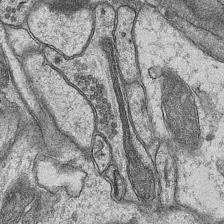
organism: Mouse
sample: CA1 Hippocampus